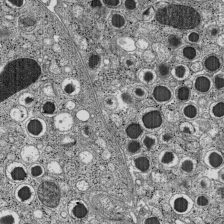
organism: C57BL Mouse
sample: Pancreatic islet